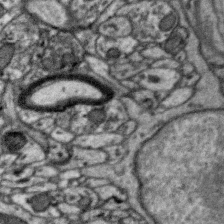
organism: Zebra finch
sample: Brain